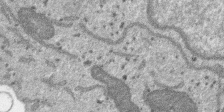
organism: Human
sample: Lung epithelial cells infected with SARS-CoV-2